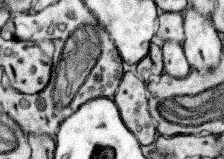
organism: Mouse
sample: Somatosensory cortex neuropil